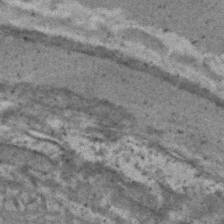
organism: C. elegans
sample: C. elegans embryo